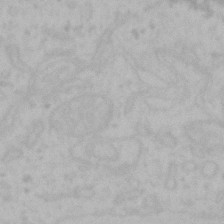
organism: Mouse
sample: Choroid plexus